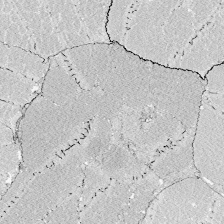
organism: Zebrafish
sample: Whole-Brain